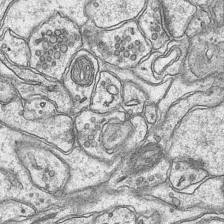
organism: Mouse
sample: CA1 Hippocampus